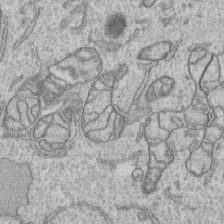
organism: Human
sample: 1205lu cells